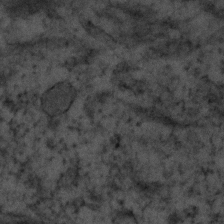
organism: Human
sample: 1205lu cells